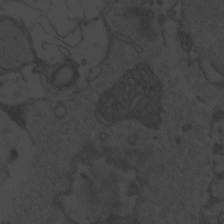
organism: Zebrafish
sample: Macrophage infected with Toxoplasma gondii